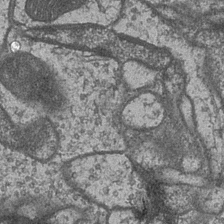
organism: Drosophila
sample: Optic medulla